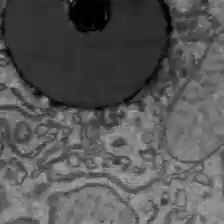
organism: C57BL Mouse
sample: Liver